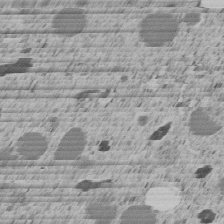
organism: C. elegans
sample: C. elegans embryo early stage